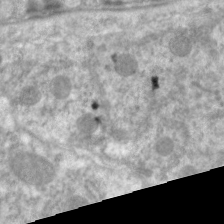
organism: C. elegans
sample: Pharynx